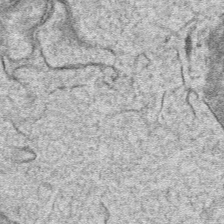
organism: Mouse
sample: Mouse hepatocytes